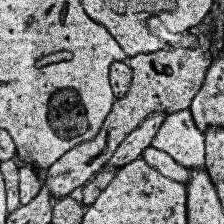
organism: Human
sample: Temporal Lobe